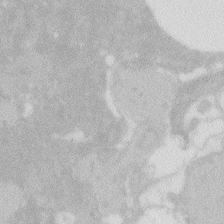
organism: Zebrafish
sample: Macrophage